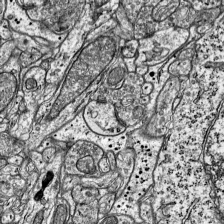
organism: Mouse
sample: Visual Cortex